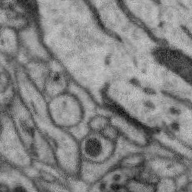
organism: Zebra finch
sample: Brain